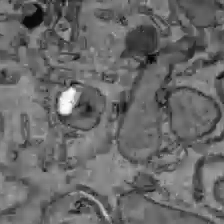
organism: C57BL Mouse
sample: Liver